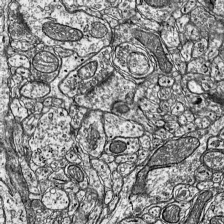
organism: Mouse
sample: Visual Cortex